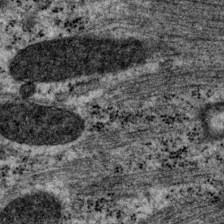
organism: P. pacificus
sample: Pharynx